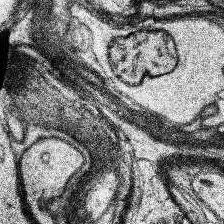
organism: Human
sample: Temporal Lobe